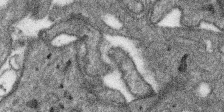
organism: Human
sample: Lung epithelial cells infected with SARS-CoV-2